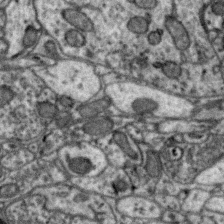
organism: Zebra finch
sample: Brain